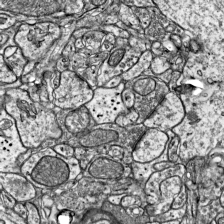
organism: Mouse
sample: Visual Cortex